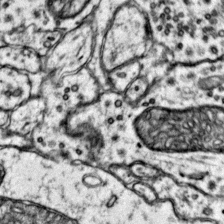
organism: Mouse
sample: Primary visual cortex